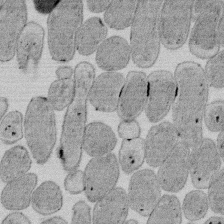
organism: E. coli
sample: Bacterial nucleoid